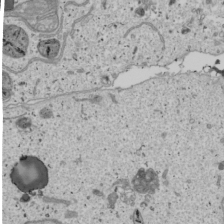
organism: Human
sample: Mitochondria in U2OS cells